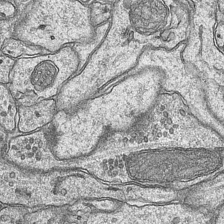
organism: Mouse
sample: CA1 Hippocampus